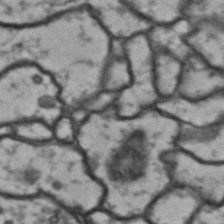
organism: Drosophila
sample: Brain